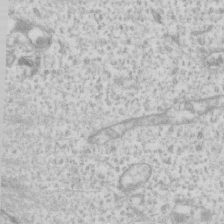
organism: Human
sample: Fibroblast cells